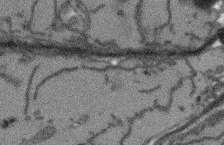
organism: Arabidopsis thaliana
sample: Root tip